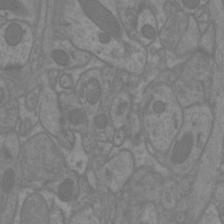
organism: Mouse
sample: Cortical neurons